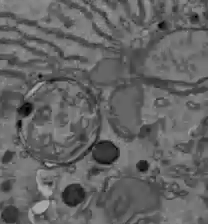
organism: C57BL Mouse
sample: Liver